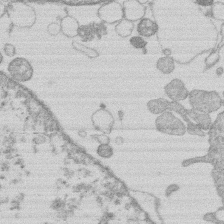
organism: Human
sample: Macrophage cells